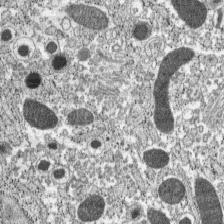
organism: C57BL Mouse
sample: Pancreatic islet